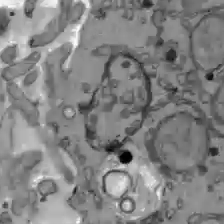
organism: C57BL Mouse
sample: Liver